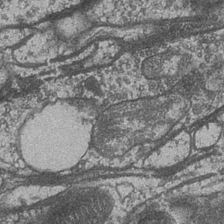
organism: Drosophila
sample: Optic medulla